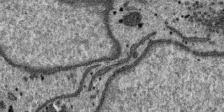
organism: Human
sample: Lung epithelial cells, uninfected (mock) control